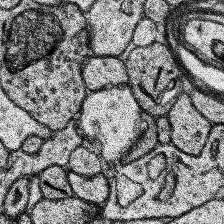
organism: Human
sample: Temporal Lobe